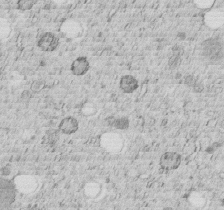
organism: C. elegans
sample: C. elegans embryo early stage